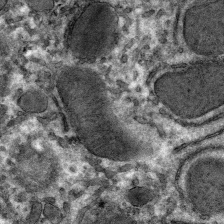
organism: Mouse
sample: Mouse hepatocytes